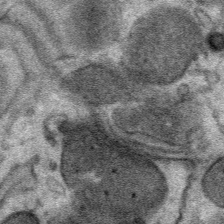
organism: Mouse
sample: Mouse Salivary gland